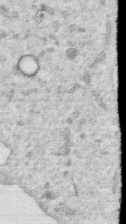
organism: Human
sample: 1205lu cells